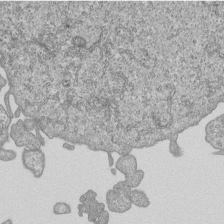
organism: Human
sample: MDA-MB-231 cells